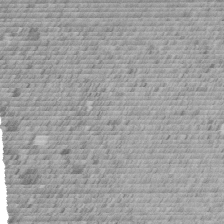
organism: C. elegans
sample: C. elegans embryo early stage